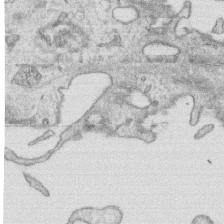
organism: Human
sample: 1205lu cells